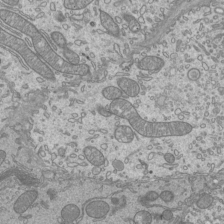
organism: Mouse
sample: Cilia; mouse epididymis